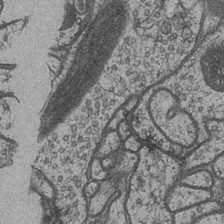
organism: Drosophila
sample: Optic medulla